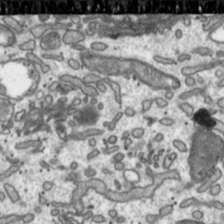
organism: Toxoplasma gondii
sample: Parasites in a vacuole inside a host cell